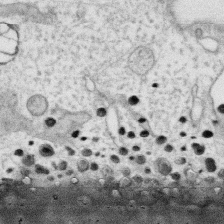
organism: Human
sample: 1205lu cells